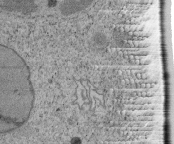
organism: Tetrahymena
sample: Cilia in tetrahymena